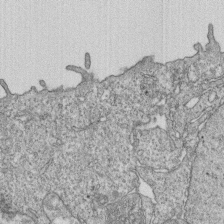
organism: Human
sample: HeLa cell HIV synapse